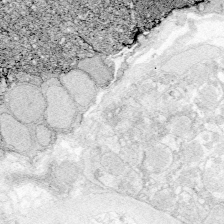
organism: Zebrafish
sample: Whole-Brain